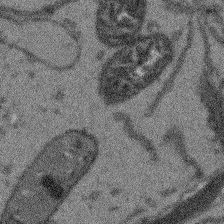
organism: Arabidopsis thaliana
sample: Root tip